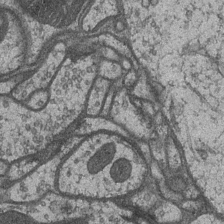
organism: Drosophila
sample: Optic medulla